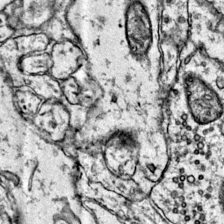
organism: Mouse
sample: Primary visual cortex